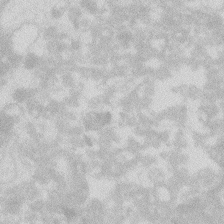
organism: Zebrafish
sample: Macrophage